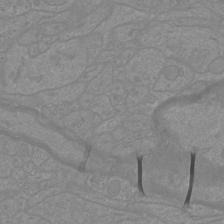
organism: Mouse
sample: Cortical neurons